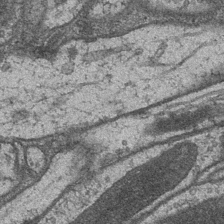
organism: Drosophila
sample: Optic medulla